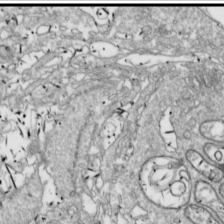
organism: Drosophila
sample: Cell division; meiosis; drosophila spermatocytes